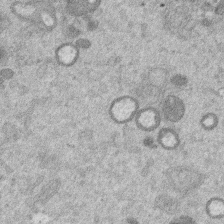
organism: Mouse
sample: Dividing mouse embryo 1 cell stage